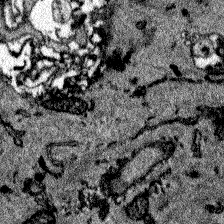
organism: Zebrafish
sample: Larval olfactory bulb